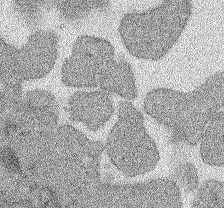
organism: Human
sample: HeLa cells